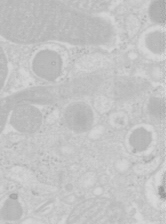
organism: Mouse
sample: Pancreas